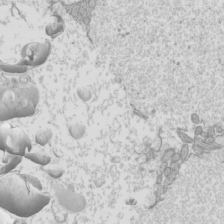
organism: Mouse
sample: Cilia; mouse epididymis